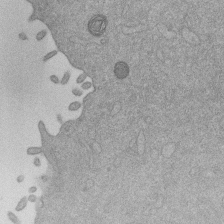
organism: Mouse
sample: Dividing mouse embryo 1 cell stage